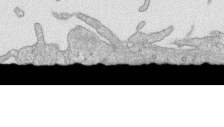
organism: Human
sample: HeLa cell HIV synapse